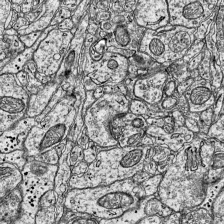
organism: Mouse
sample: Visual Cortex